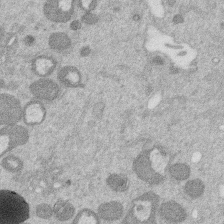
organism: Mouse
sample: Dividing mouse embryo 1 cell stage